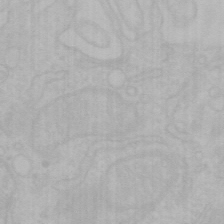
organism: Mouse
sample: Choroid plexus